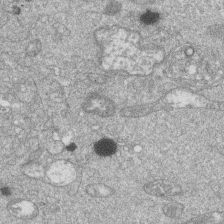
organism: Human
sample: HeLa cell HIV synapse